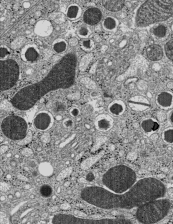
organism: C57BL Mouse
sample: Pancreatic islet